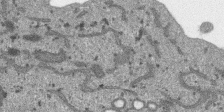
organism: Human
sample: Lung epithelial cells infected with SARS-CoV-2